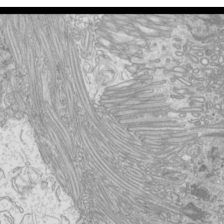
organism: Mouse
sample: Cilia; mouse epididymis